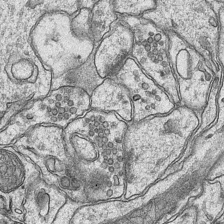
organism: Mouse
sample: CA1 Hippocampus